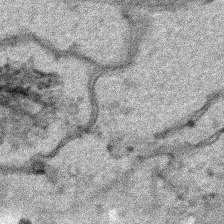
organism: Human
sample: Mitochondria in HCT116 cells